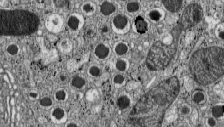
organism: C57BL Mouse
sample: Pancreatic islet